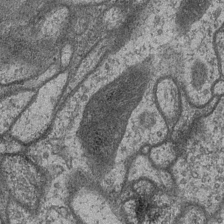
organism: Drosophila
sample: Optic medulla